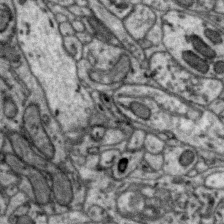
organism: Zebra finch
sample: Brain